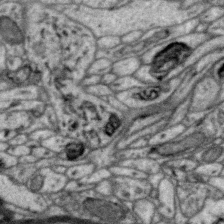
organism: Zebra finch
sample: Brain